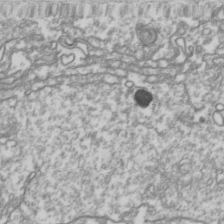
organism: Drosophila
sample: Cell division; meiosis; drosophila spermatocytes